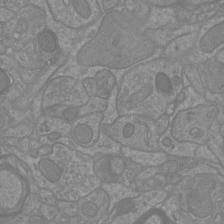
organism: Mouse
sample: Cortical neurons